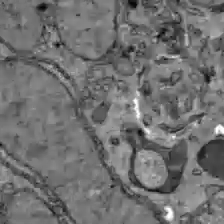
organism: C57BL Mouse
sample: Liver